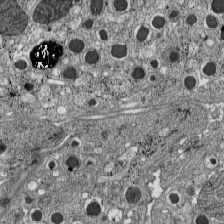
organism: C57BL Mouse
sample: Pancreatic islet